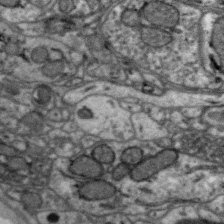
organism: Zebra finch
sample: Brain